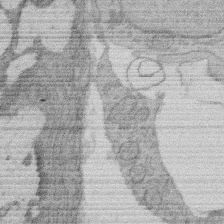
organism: Rat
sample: Salivary granule